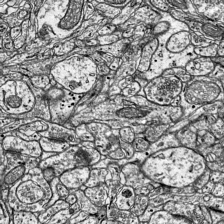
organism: Mouse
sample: Visual Cortex